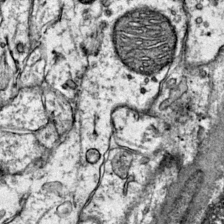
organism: Mouse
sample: Primary visual cortex